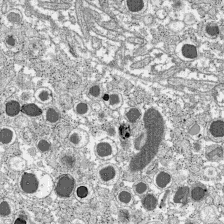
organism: C57BL Mouse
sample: Pancreatic islet